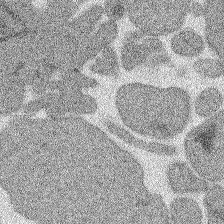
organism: Human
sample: HeLa cells